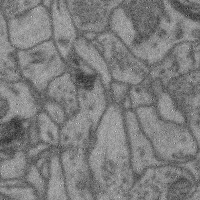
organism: Mouse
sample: Cerebral cortex